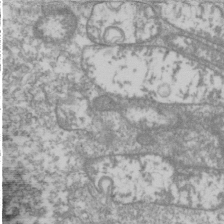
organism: Drosophila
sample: Cell division; meiosis; drosophila spermatocytes